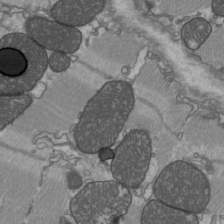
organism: C57BL Mouse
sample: Heart